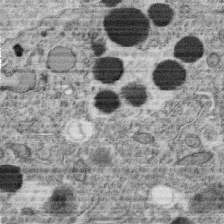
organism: C. elegans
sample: C. elegans oocyte; sperm cells